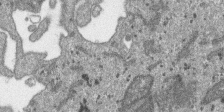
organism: Human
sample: Lung epithelial cells infected with SARS-CoV-2